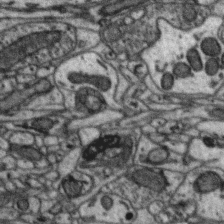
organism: Zebra finch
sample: Brain